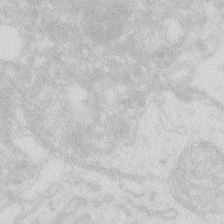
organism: Zebrafish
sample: Macrophage